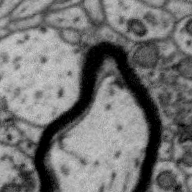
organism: Zebra finch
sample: Brain